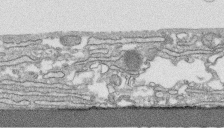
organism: Human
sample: CRL-1474